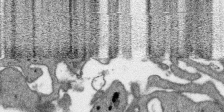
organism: Human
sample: Lung epithelial cells, uninfected (mock) control